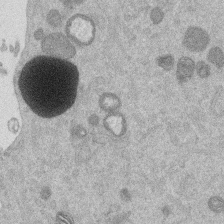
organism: Mouse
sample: Dividing mouse embryo 1 cell stage